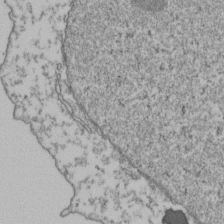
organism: Human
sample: Activated Jurkat CD4+ T cells